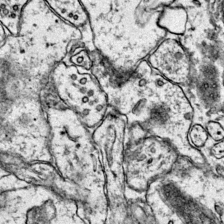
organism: Mouse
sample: Primary visual cortex